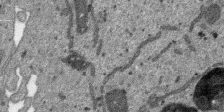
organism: Human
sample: Lung epithelial cells infected with SARS-CoV-2